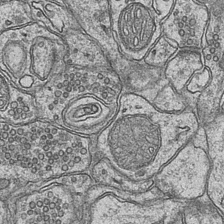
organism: Mouse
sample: CA1 Hippocampus